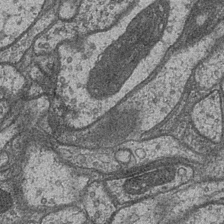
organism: Drosophila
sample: Optic medulla